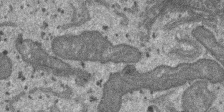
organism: Human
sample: Lung epithelial cells infected with SARS-CoV-2